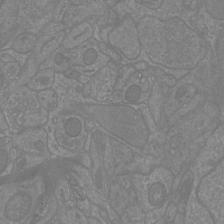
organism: Mouse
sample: Cortical neurons